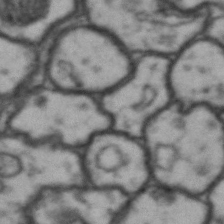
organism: Drosophila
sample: Brain